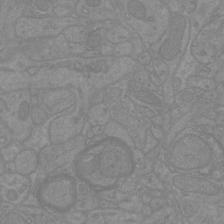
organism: Mouse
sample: Cortical neurons